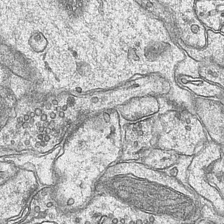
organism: Mouse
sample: CA1 Hippocampus